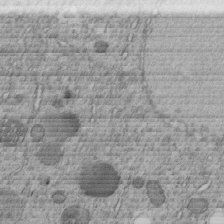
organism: C. elegans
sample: C. elegans embryo early stage